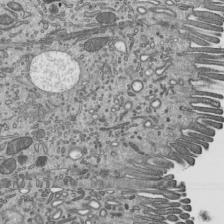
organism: Mouse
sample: Mouse epididymis efferent ductule cilia